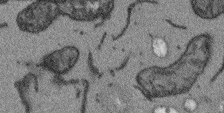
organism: Arabidopsis thaliana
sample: Root tip